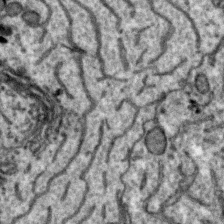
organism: Zebra finch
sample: Brain